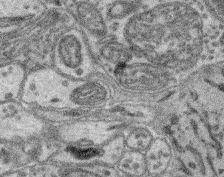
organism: Mouse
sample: Retina